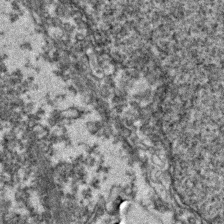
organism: Zebrafish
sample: Zebrafish embryo